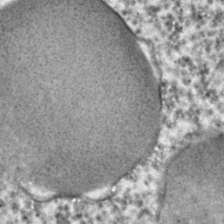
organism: C. elegans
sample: C. elegans embryo